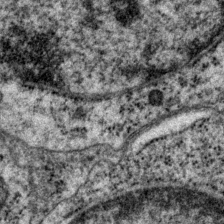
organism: P. pacificus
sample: Pharynx